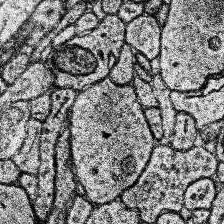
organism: Human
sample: Temporal Lobe